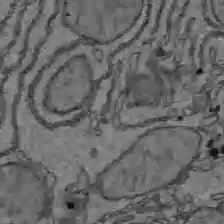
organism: C57BL Mouse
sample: Liver